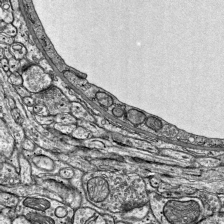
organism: Mouse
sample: Visual Cortex